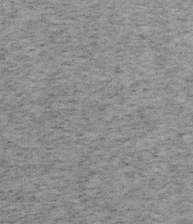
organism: Mouse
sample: OT-I killer T cells with ID8 ovarian cancer cells